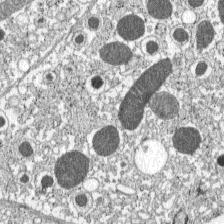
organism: C57BL Mouse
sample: Pancreatic islet